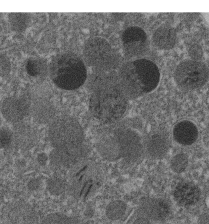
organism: C. elegans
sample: C. elegans embryo early stage